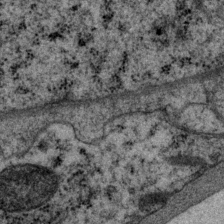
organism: P. pacificus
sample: Pharynx